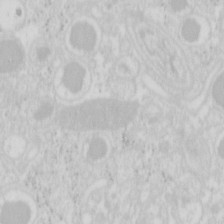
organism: Mouse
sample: Pancreas